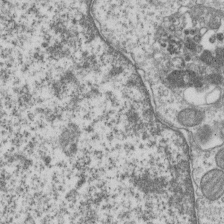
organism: Human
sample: MDA-MB-231 cells